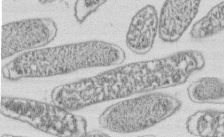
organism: E. coli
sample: Bacterial nucleoid